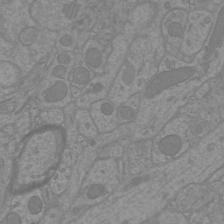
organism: Mouse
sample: Cortical neurons